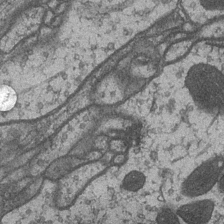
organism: Drosophila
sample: Optic medulla